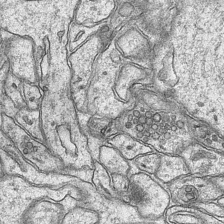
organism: Mouse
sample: CA1 Hippocampus